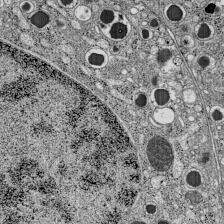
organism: C57BL Mouse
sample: Pancreatic islet